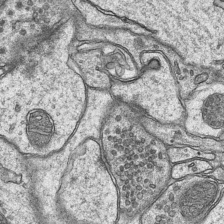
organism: Mouse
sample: CA1 Hippocampus